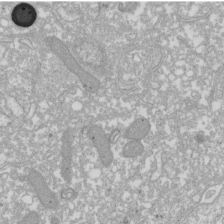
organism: Xenopus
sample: Cilia; centrioles in frog embryo cells